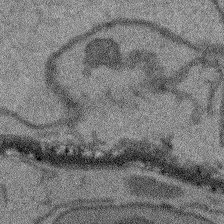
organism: Arabidopsis thaliana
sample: Root tip